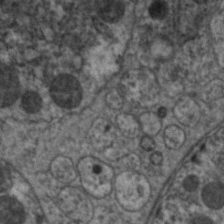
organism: C. elegans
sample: Pharynx